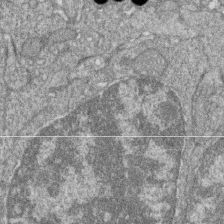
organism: Zebrafish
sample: Cilia; retinal pigment epithelium